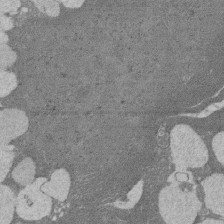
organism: Rat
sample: Salivary granule